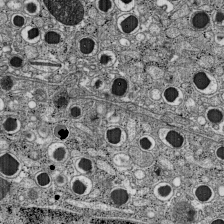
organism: C57BL Mouse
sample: Pancreatic islet